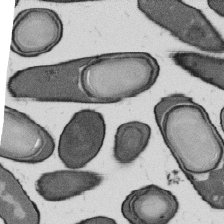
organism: B. subtilis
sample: Bacterial spore